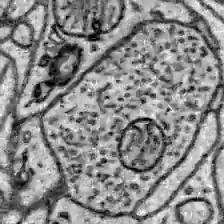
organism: Zebrafish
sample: Brain